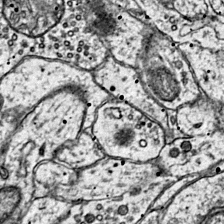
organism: Mouse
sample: Primary visual cortex